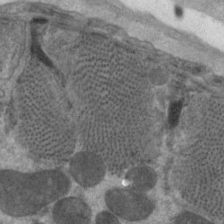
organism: C. elegans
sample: Pharynx